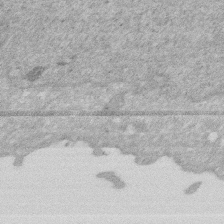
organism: Human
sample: HIV infected U937 cells